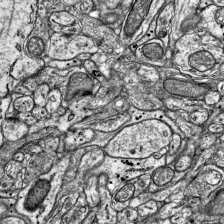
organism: Mouse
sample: Visual Cortex